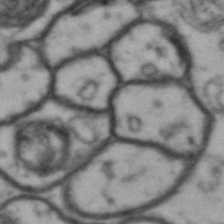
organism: Drosophila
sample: Brain